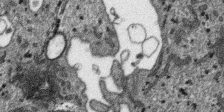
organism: Human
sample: Lung epithelial cells infected with SARS-CoV-2